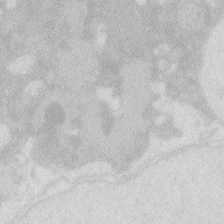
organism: Zebrafish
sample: Macrophage